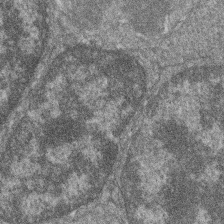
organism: Zebrafish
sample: Cilia; retinal pigment epithelium